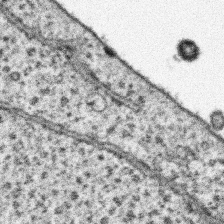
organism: Human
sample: HeLa cells